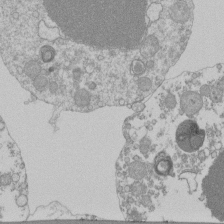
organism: Mouse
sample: Activated Pmel transgenic CD8+ T Cells